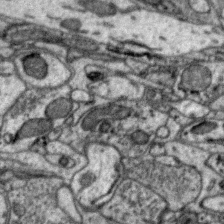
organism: Zebra finch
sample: Brain